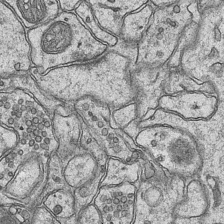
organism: Mouse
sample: CA1 Hippocampus